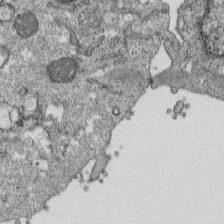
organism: African green monkey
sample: Vero E6 cells infected with SARS-CoV-2